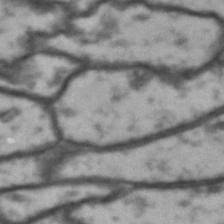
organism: Drosophila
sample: Brain